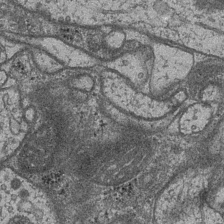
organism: Drosophila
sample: Optic medulla